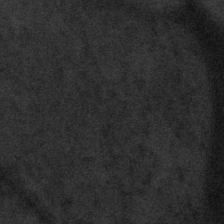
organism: Tuwongella immobilis